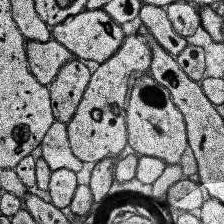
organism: Human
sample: Temporal Lobe